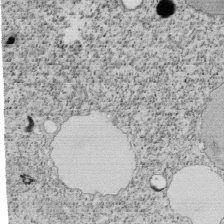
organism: Tetrahymena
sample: Cilia in tetrahymena